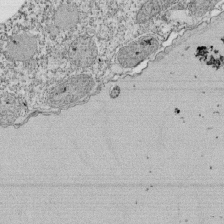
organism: Tetrahymena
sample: Cilia in tetrahymena